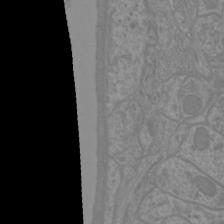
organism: Mouse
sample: Cortical neurons